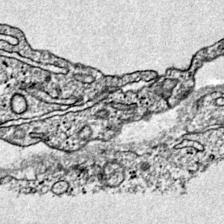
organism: Mouse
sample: Primary visual cortex